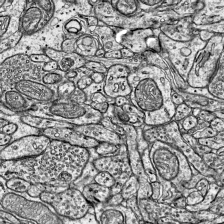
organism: Mouse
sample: Visual Cortex